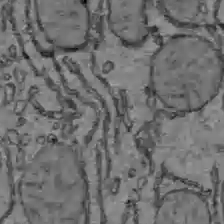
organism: C57BL Mouse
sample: Liver